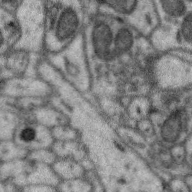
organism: Zebra finch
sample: Brain